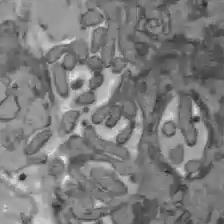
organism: C57BL Mouse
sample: Liver